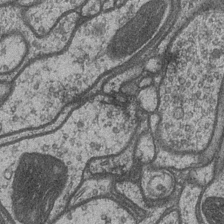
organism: Drosophila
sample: Optic medulla